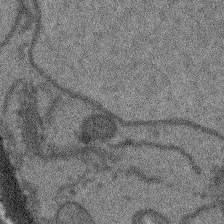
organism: Arabidopsis thaliana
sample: Root tip